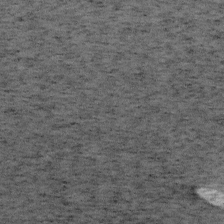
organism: Mouse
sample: OT-I killer T cells with ID8 ovarian cancer cells